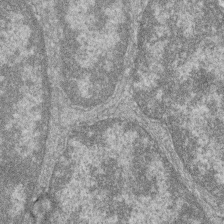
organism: Zebrafish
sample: Cilia; retinal pigment epithelium